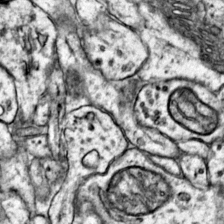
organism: Mouse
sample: Primary visual cortex